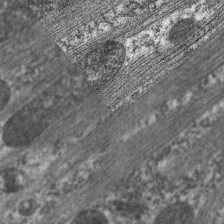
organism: C. elegans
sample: Pharynx